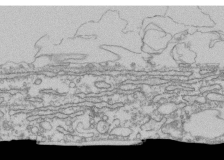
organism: Human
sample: Fibroblast cells